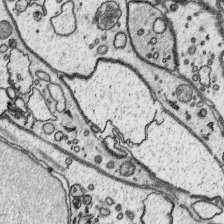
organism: Platynereis dumerilii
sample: Parapodia